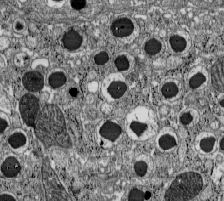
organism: C57BL Mouse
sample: Pancreatic islet